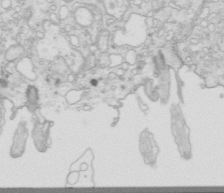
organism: Mouse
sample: Multiciliated cells